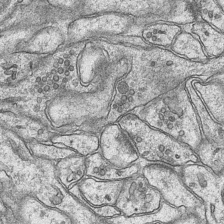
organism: Mouse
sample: CA1 Hippocampus